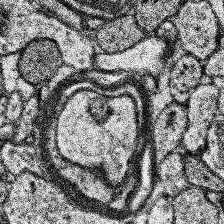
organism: Human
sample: Temporal Lobe